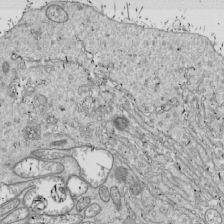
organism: Drosophila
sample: Cell division; meiosis; drosophila spermatocytes